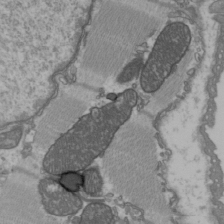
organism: C57BL Mouse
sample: Heart